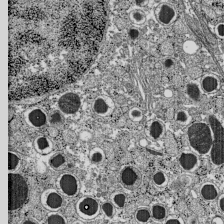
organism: C57BL Mouse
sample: Pancreatic islet